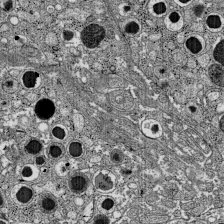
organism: C57BL Mouse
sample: Pancreatic islet